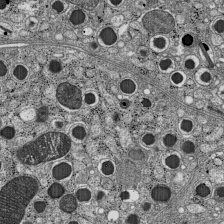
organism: C57BL Mouse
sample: Pancreatic islet